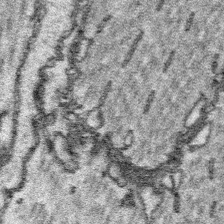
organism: Platynereis dumerilii